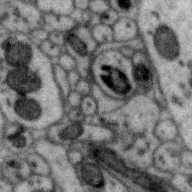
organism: Zebra finch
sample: Brain